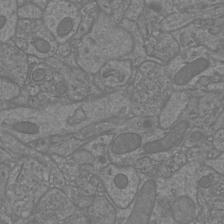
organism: Mouse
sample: Cortical neurons